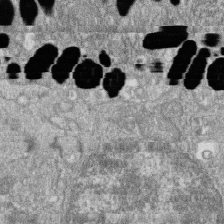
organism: Zebrafish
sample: Cilia; retinal pigment epithelium